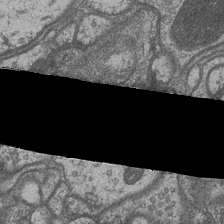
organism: Drosophila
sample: Optic medulla